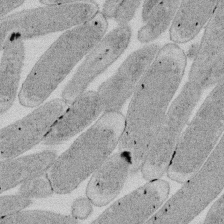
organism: E. coli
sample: Bacterial nucleoid